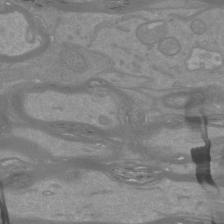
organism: Mouse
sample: Cortical neurons